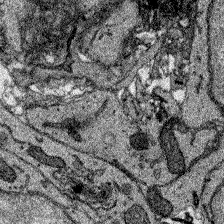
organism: Zebrafish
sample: Larval olfactory bulb